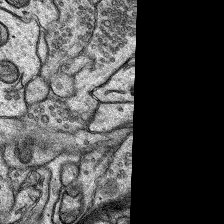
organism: Rat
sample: Hippocampus